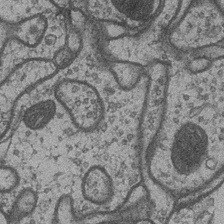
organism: Drosophila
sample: Optic medulla